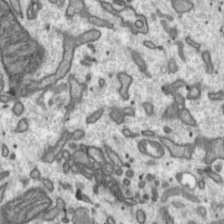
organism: Toxoplasma gondii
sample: Parasites in a vacuole inside a host cell